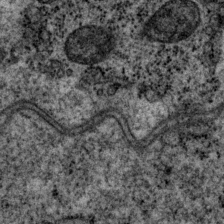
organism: P. pacificus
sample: Pharynx